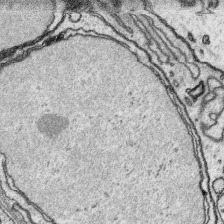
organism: Platynereis dumerilii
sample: Parapodia